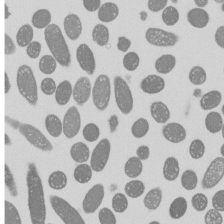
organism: E. coli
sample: Bacterial nucleoid